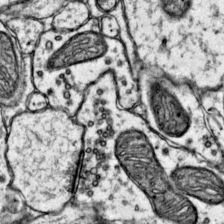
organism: Mouse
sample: Primary visual cortex